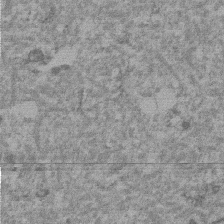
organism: Mouse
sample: Dividing mouse embryo 1 cell stage